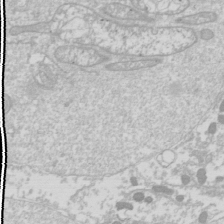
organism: Drosophila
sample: Cell division; meiosis; drosophila spermatocytes